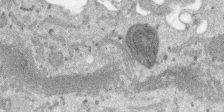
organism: Human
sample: Lung epithelial cells infected with SARS-CoV-2